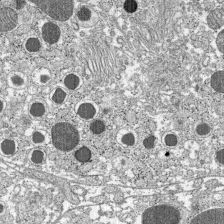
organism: C57BL Mouse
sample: Pancreatic islet